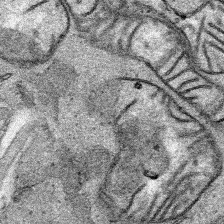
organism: Human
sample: Mitochondria in HCT116 cells